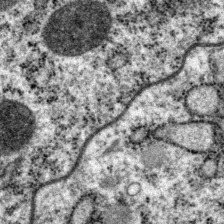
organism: P. pacificus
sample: Pharynx